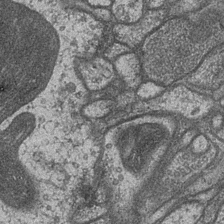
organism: Drosophila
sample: Optic medulla